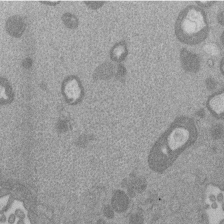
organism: Mouse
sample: Dividing mouse embryo 1 cell stage